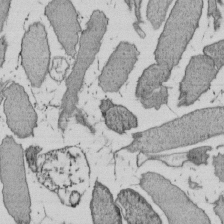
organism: E. coli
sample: Bacterial nucleoid